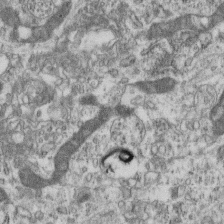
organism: Mouse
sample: Centriole in ependymal cells